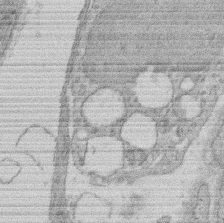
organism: Rat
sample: Salivary granule